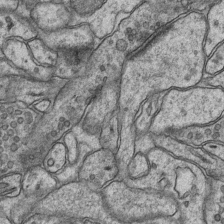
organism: Mouse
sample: CA1 Hippocampus